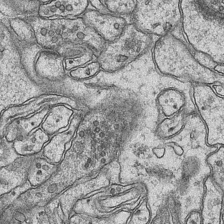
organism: Mouse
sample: CA1 Hippocampus